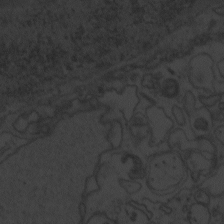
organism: Zebrafish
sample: Macrophage infected with Toxoplasma gondii